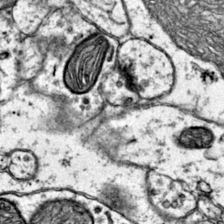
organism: Mouse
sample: Primary visual cortex